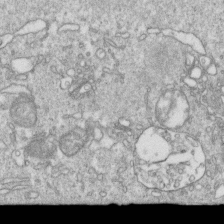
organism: Mouse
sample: Activated OT-1 CD8+ T cells